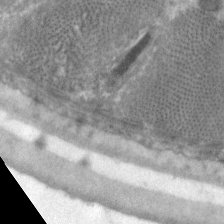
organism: C. elegans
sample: Pharynx